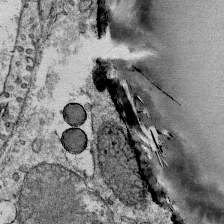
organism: Mouse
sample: Mouse Salivary gland